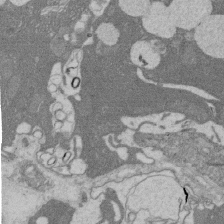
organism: Rat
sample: Salivary granule